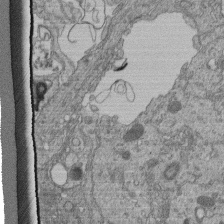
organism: Human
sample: Retinal organoid Rod and Cone cells